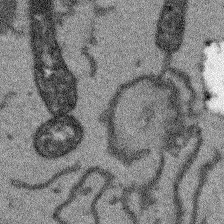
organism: Arabidopsis thaliana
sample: Root tip